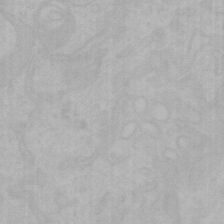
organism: Mouse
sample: Choroid plexus